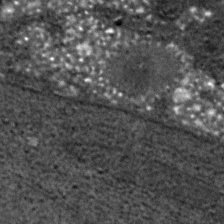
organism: C. elegans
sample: C. elegans embryo